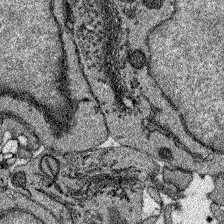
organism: Zebrafish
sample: Larval olfactory bulb